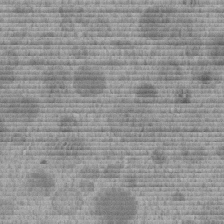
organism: C. elegans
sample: C. elegans embryo early stage